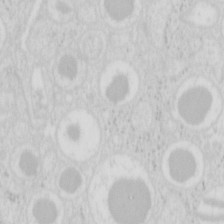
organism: Mouse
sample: Pancreas